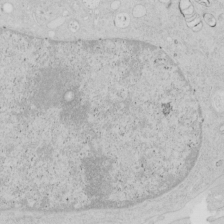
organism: Human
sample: Mitochondria in HCT116 cells